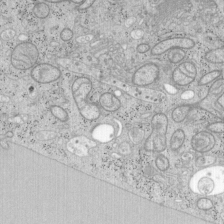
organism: Mouse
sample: OT-I killer T cells with ID8 ovarian cancer cells